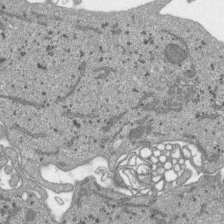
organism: Human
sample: Lung epithelial cells infected with SARS-CoV-2